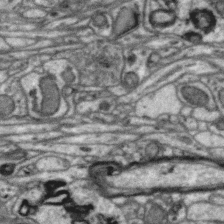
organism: Zebra finch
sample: Brain